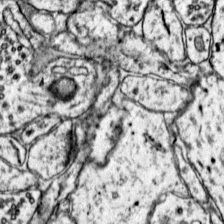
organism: Mouse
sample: Primary visual cortex